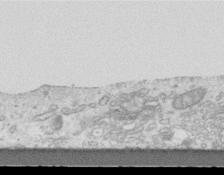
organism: Mouse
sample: Centriole in ependymal cells